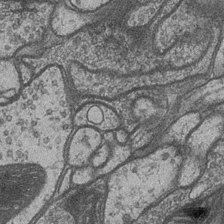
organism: Drosophila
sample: Optic medulla